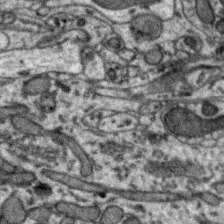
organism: Zebra finch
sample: Brain